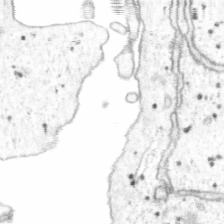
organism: Human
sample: HeLa cells